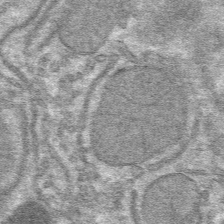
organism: Mouse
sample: Mouse hepatocytes